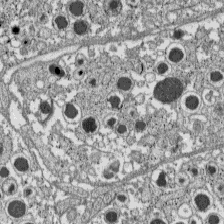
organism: C57BL Mouse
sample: Pancreatic islet